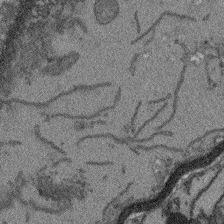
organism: Arabidopsis thaliana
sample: Root tip